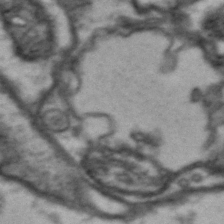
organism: Drosophila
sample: Brain